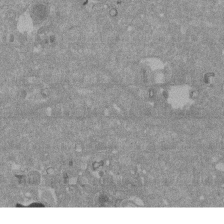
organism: Mouse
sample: ED-1 cell nuclei; centrioles